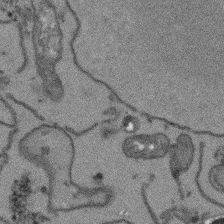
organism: Arabidopsis thaliana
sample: Root tip